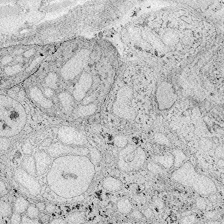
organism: Zebrafish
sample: Whole-Brain